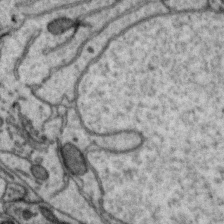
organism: Zebra finch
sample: Brain